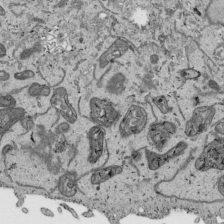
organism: Human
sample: Mitochondria in HCT116 cells